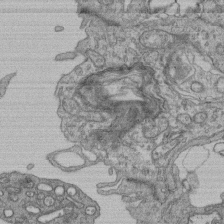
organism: Human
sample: Retinal organoid Rod and Cone cells